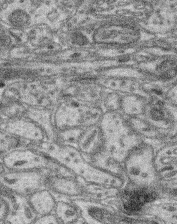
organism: Mouse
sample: Retina